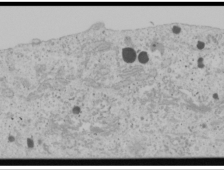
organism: Human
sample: Mitochondria in U2OS cells